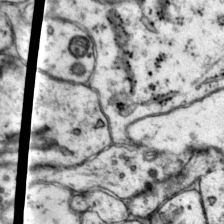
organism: Mouse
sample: Primary visual cortex